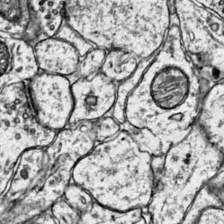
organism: Mouse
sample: Primary visual cortex